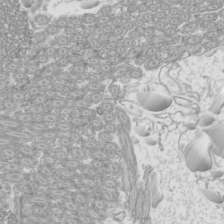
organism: Mouse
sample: Cilia; mouse epididymis